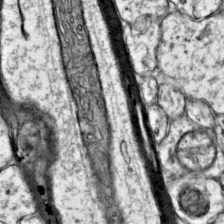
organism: Mouse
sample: Primary visual cortex